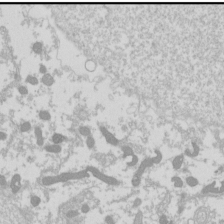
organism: Drosophila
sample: Cell division; meiosis; drosophila spermatocytes